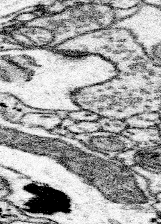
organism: Mouse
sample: Somatosensory cortex neuropil